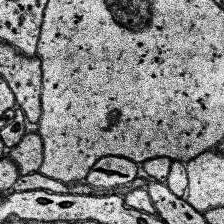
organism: Human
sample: Temporal Lobe